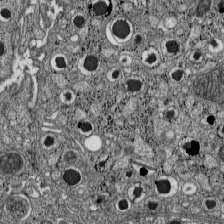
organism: C57BL Mouse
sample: Pancreatic islet